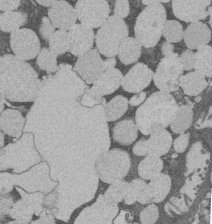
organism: Rat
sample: Salivary granule